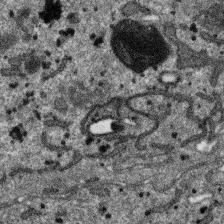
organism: Human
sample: Lung epithelial cells infected with SARS-CoV-2